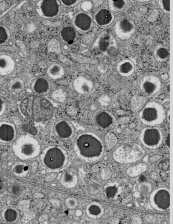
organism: C57BL Mouse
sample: Pancreatic islet